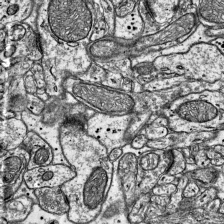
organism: Mouse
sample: Visual Cortex